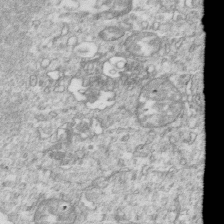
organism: Mouse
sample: Activated OT-1 CD8+ T cells